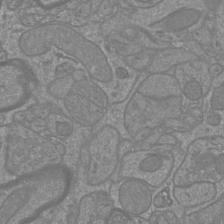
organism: Mouse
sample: Cortical neurons